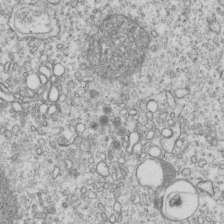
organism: Human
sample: MDA-MB-231 cells